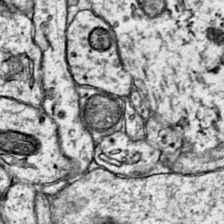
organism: Mouse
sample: Primary visual cortex